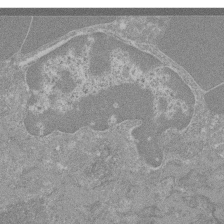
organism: Mouse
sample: Glomerulus